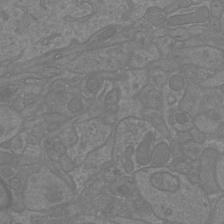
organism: Mouse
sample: Cortical neurons